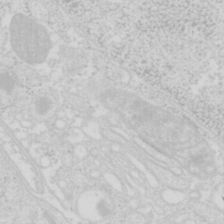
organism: Mouse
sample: Pancreas